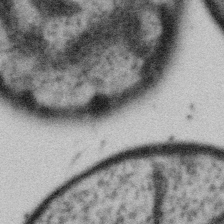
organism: Gemmata obscuriglobus